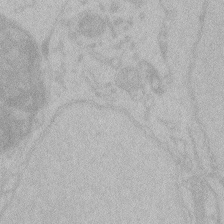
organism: Zebrafish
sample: Macrophage infected with Toxoplasma gondii